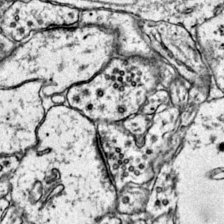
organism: Mouse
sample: Primary visual cortex